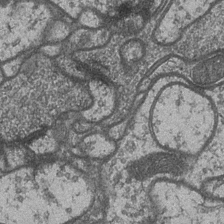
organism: Drosophila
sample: Optic medulla